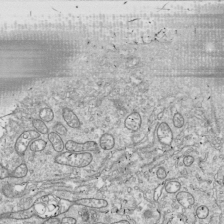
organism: Drosophila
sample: Cell division; meiosis; drosophila spermatocytes